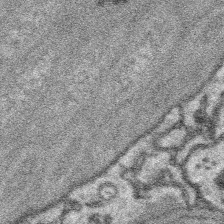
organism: Platynereis dumerilii